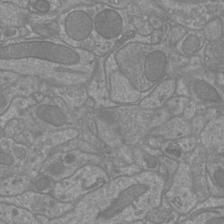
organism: Mouse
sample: Cortical neurons